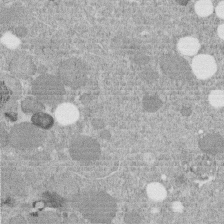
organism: C. elegans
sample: C. elegans embryo early stage